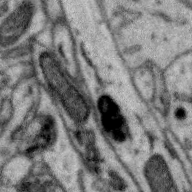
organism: Zebra finch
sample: Brain